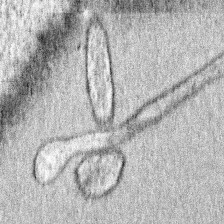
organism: Human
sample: HeLa cells